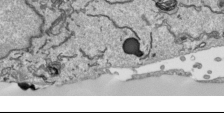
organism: Human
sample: Mitochondria in HCT116 cells